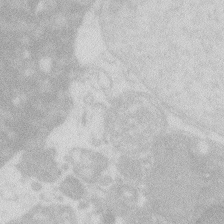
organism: Zebrafish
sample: Macrophage